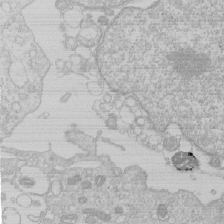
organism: Human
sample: Macrophage cells